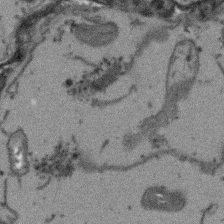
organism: Arabidopsis thaliana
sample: Root tip